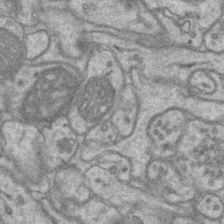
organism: Mouse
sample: CA1 Hippocampus